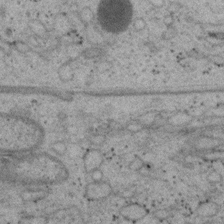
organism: Human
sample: HeLa cells